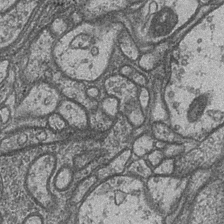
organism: Drosophila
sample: Optic medulla